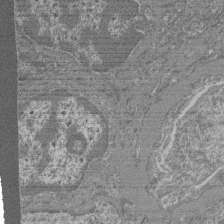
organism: Mouse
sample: Glomerulus